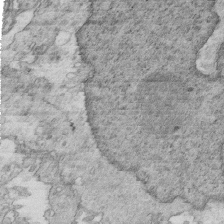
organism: Mouse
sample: Multiciliated cells